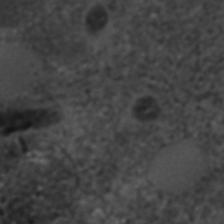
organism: C. elegans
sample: C. elegans embryo